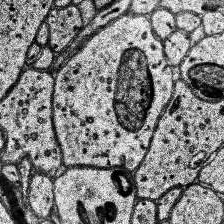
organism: Human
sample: Temporal Lobe